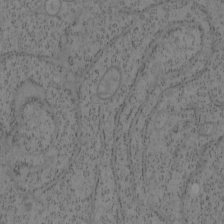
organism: Mouse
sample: OT-I killer T cells with ID8 ovarian cancer cells